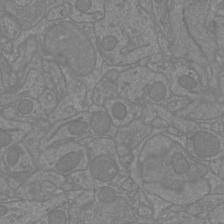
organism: Mouse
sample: Cortical neurons